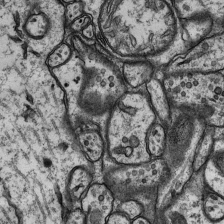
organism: Rat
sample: Hippocampus